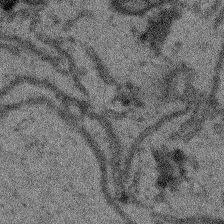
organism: Arabidopsis thaliana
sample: Root tip